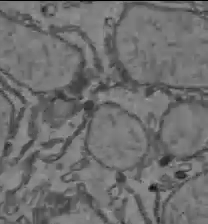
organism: C57BL Mouse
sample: Liver